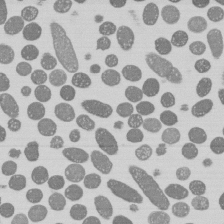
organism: E. coli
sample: Bacterial nucleoid